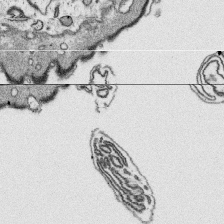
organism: Platynereis dumerilii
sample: Parapodia